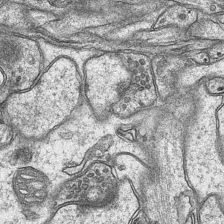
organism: Mouse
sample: CA1 Hippocampus